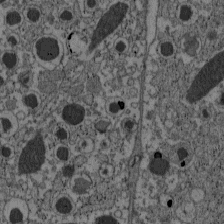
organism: C57BL Mouse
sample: Pancreatic islet